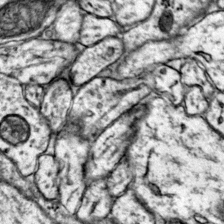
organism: Mouse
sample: Primary visual cortex